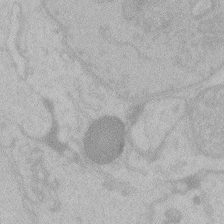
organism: Zebrafish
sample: Macrophage infected with Toxoplasma gondii